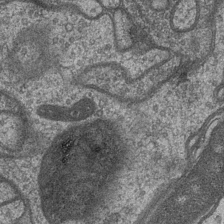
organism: Drosophila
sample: Optic medulla